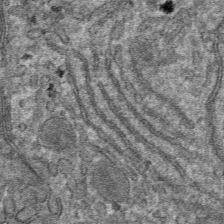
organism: Mouse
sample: Mouse hepatocytes